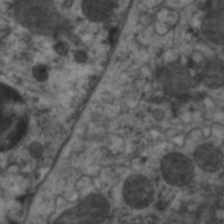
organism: C. elegans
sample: Pharynx